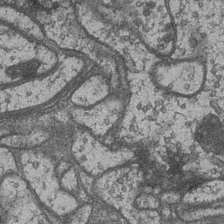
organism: Drosophila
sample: Optic medulla